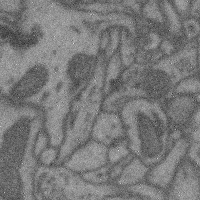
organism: Mouse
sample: Cerebral cortex